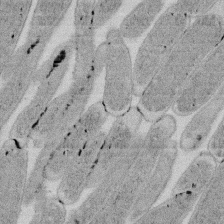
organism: E. coli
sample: Bacterial nucleoid